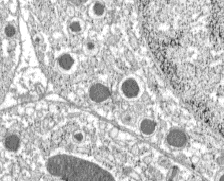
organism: C57BL Mouse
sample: Pancreatic islet